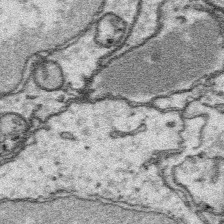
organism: Platynereis dumerilii